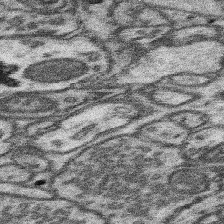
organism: Mouse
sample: Somatosensory cortex neuropil